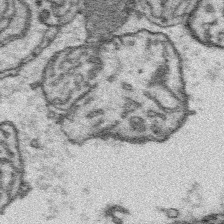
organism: Platynereis dumerilii